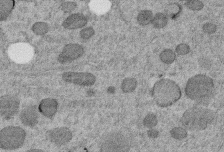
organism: C. elegans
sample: C. elegans embryo early stage